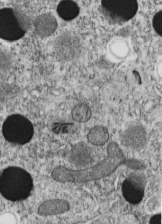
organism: C. elegans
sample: C. elegans embryo early stage